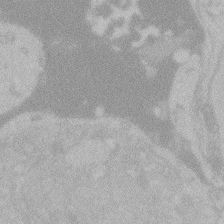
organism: Zebrafish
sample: Macrophage infected with Toxoplasma gondii